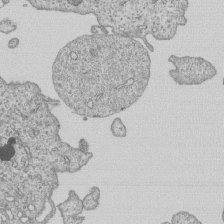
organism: Human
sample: MDA-MB-231 cells